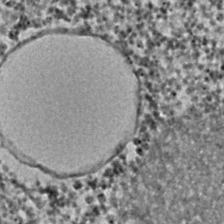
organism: C. elegans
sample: C. elegans embryo